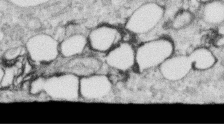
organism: Human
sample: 1205lu cells